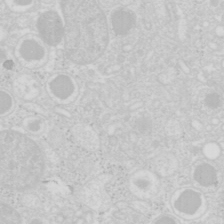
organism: Mouse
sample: Pancreas